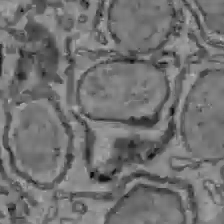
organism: C57BL Mouse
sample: Liver